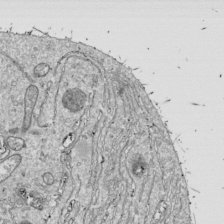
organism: Drosophila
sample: Cell division; meiosis; drosophila spermatocytes